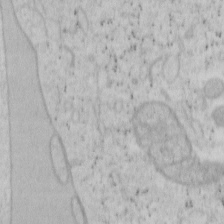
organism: Human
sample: HeLa cells